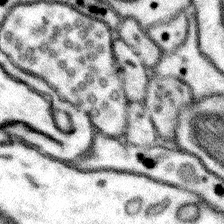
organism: Mouse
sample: Somatosensory cortex neuropil